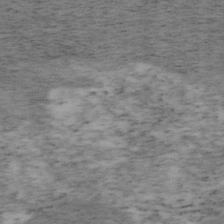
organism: Mouse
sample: OT-I killer T cells with ID8 ovarian cancer cells